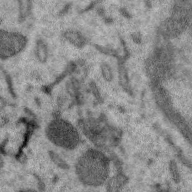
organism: Zebra finch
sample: Brain